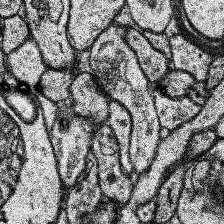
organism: Human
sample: Temporal Lobe